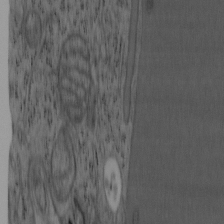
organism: Human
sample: HeLa cells